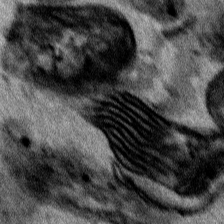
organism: Human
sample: Mitochondria in HCT116 cells